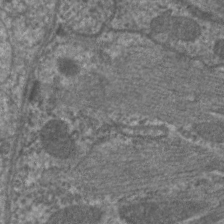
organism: C. elegans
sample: Pharynx